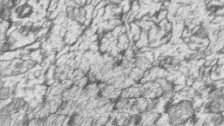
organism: Zebrafish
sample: synaptic ribbons in rod cells and cone cells